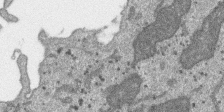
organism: Human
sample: Lung epithelial cells infected with SARS-CoV-2